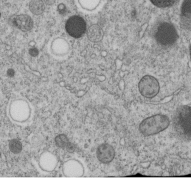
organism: C. elegans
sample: C. elegans embryo early stage